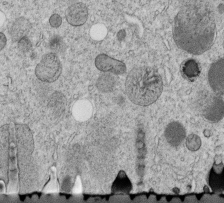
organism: C. elegans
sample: C. elegans embryo early stage